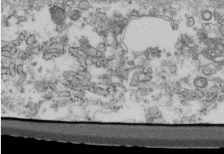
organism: Mouse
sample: Cilia; retinal pigment epithelium